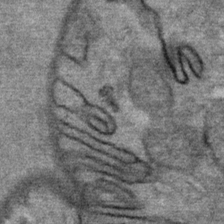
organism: Mouse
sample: Mouse Salivary gland